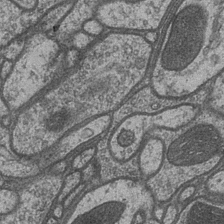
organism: Drosophila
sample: Optic medulla